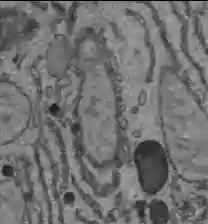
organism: C57BL Mouse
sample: Liver